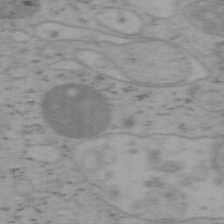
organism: Mouse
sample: OT-I killer T cells with ID8 ovarian cancer cells